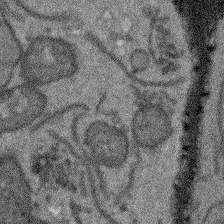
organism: Arabidopsis thaliana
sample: Root tip